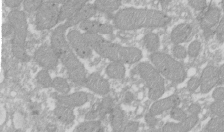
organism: Xenopus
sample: Cilia; centrioles in frog embryo cells